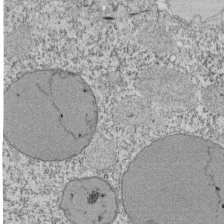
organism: Tetrahymena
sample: Cilia in tetrahymena